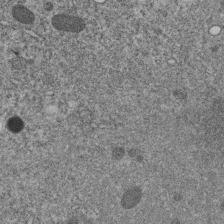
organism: C. elegans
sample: C. elegans embryo early stage